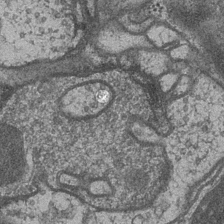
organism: Drosophila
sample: Optic medulla